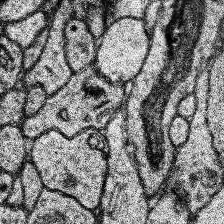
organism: Human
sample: Temporal Lobe